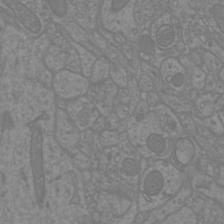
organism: Mouse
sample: Cortical neurons